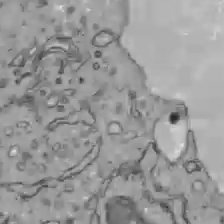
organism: C57BL Mouse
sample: Liver